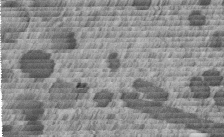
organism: C. elegans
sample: C. elegans embryo early stage